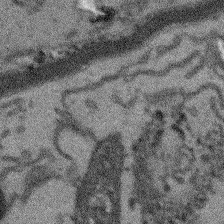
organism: Arabidopsis thaliana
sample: Root tip